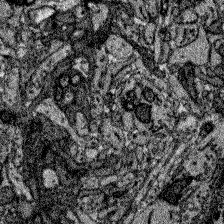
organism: Zebrafish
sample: Larval olfactory bulb